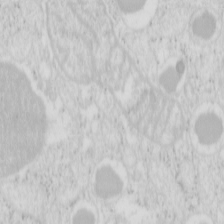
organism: Mouse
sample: Pancreas